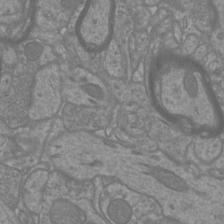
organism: Mouse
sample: Cortical neurons